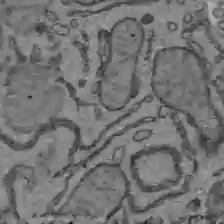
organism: C57BL Mouse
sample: Liver